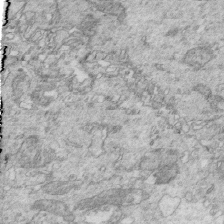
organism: Mouse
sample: Multiciliated cells